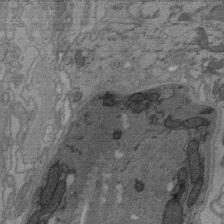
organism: C. elegans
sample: AFD neurons C. elegans